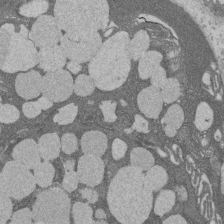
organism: Rat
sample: Salivary granule